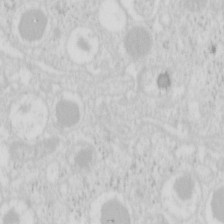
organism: Mouse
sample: Pancreas